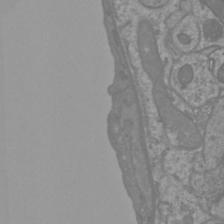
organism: Mouse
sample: Cortical neurons